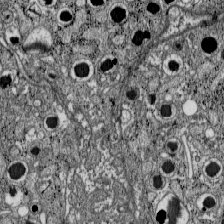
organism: C57BL Mouse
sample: Pancreatic islet